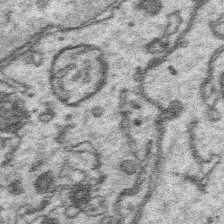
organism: Platynereis dumerilii